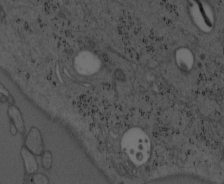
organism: Mouse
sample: OT-I killer T cells with ID8 ovarian cancer cells